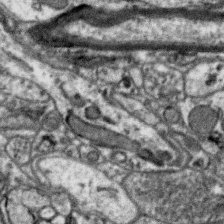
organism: Zebra finch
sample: Brain